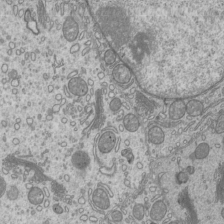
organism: Mouse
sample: Cilia; mouse epididymis